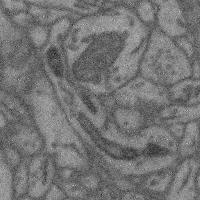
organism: Mouse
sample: Cerebral cortex